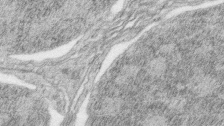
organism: Zebrafish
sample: synaptic ribbons in rod cells and cone cells